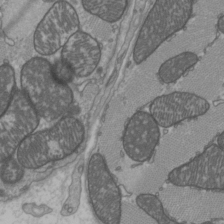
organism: C57BL Mouse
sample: Heart